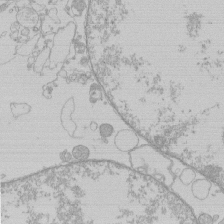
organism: Human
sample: Macrophage cells